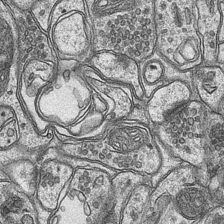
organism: Mouse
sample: CA1 Hippocampus